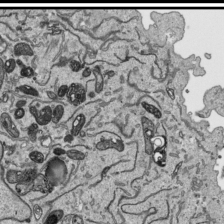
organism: Human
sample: Mitochondria in HCT116 cells